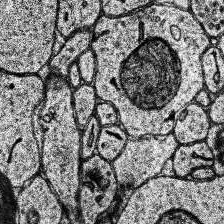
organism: Human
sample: Temporal Lobe